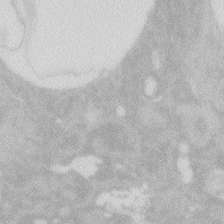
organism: Zebrafish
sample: Macrophage